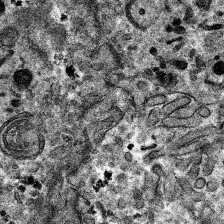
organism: Mouse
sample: Mouse hepatocytes